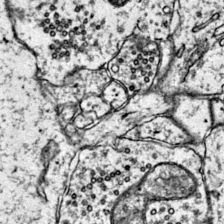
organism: Mouse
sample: Primary visual cortex